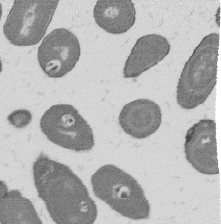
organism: B. subtilis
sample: Bacterial spore